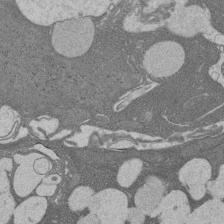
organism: Rat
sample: Salivary granule